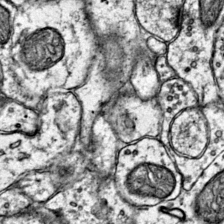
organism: Mouse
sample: Primary visual cortex